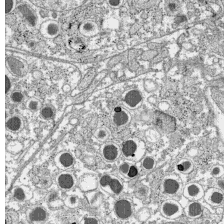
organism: C57BL Mouse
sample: Pancreatic islet